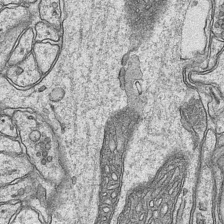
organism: Mouse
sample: CA1 Hippocampus